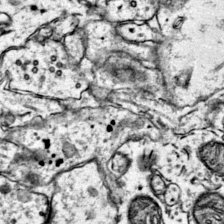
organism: Mouse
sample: Primary visual cortex